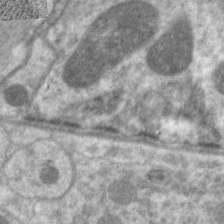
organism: C. elegans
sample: Pharynx